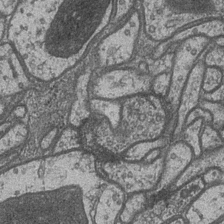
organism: Drosophila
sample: Optic medulla